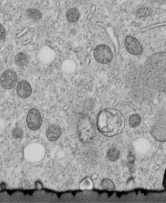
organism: C. elegans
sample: C. elegans embryo early stage